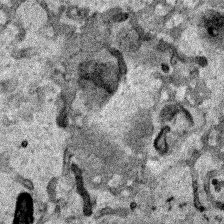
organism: Human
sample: Mitochondria in HCT116 cells